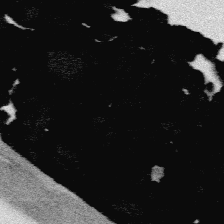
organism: Platynereis dumerilii